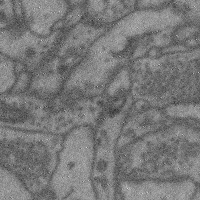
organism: Mouse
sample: Cerebral cortex